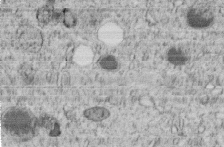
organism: C. elegans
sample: C. elegans embryo early stage